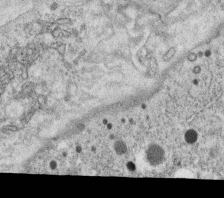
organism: C. elegans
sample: C. elegans oocyte; sperm cells